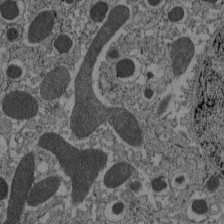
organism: C57BL Mouse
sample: Pancreatic islet